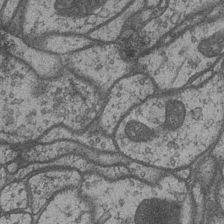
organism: Drosophila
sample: Optic medulla